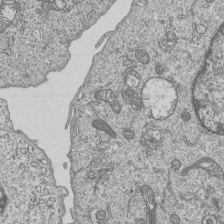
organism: Human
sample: MDA-MB-231 cells